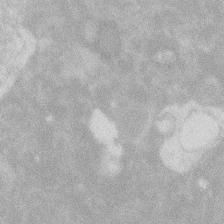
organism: Zebrafish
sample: Macrophage